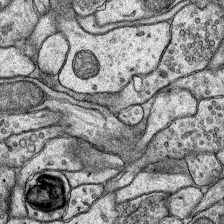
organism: Rat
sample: Hippocampus